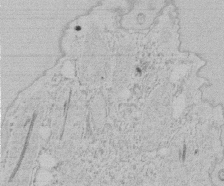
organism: Tetrahymena